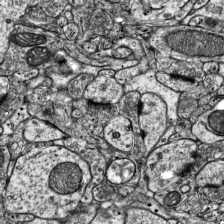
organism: Mouse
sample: Visual Cortex